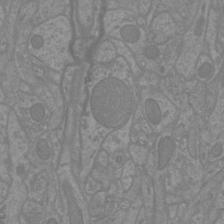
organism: Mouse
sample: Cortical neurons